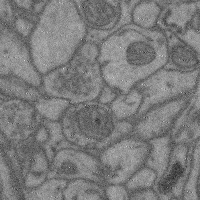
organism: Mouse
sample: Cerebral cortex